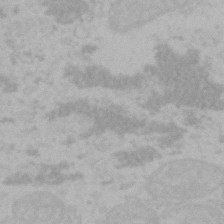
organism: Mouse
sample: Choroid plexus